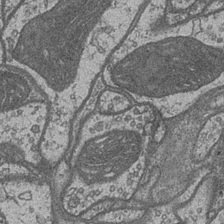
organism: Drosophila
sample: Optic medulla